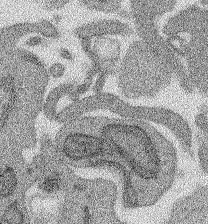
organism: Human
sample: HeLa cells